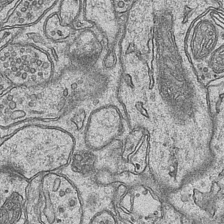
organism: Mouse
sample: CA1 Hippocampus